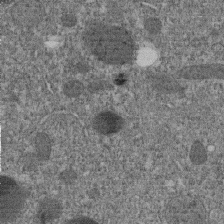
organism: C. elegans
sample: C. elegans embryo early stage